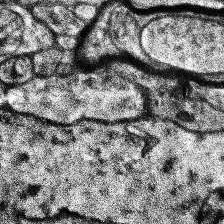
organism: Human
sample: Temporal Lobe